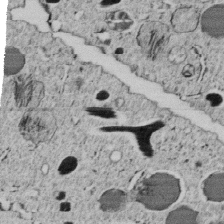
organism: C. elegans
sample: C. elegans embryo early stage